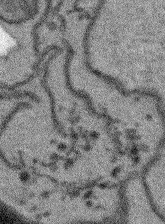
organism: Arabidopsis thaliana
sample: Root tip